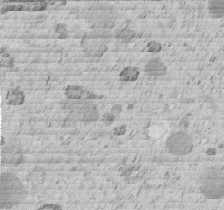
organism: C. elegans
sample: C. elegans embryo early stage